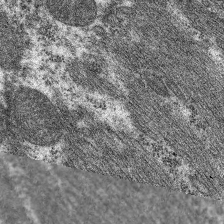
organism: C. elegans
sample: Pharynx